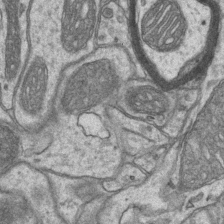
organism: Mouse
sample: CA1 Hippocampus